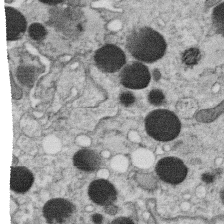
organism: C. elegans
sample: C. elegans oocyte; sperm cells